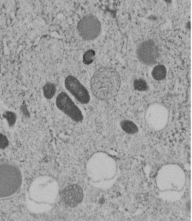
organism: C. elegans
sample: C. elegans embryo early stage